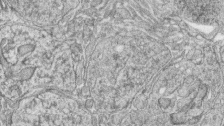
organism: Zebrafish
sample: synaptic ribbons in rod cells and cone cells